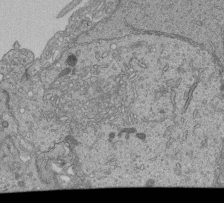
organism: Human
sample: Retinal organoid Rod and Cone cells